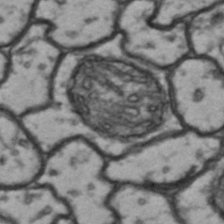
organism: Drosophila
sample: Brain